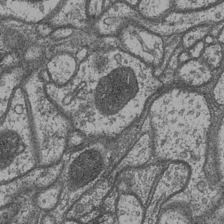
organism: Drosophila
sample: Optic medulla